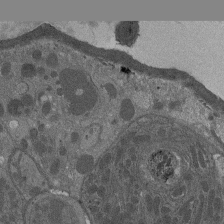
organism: Drosophila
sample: Antenna